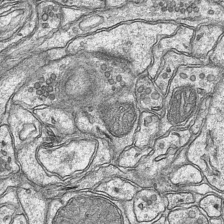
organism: Mouse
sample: CA1 Hippocampus